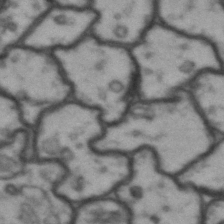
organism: Drosophila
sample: Brain